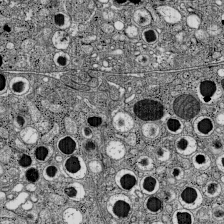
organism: C57BL Mouse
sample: Pancreatic islet